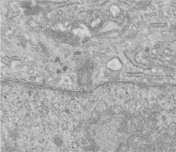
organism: Human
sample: Centriole in fibroblast cells